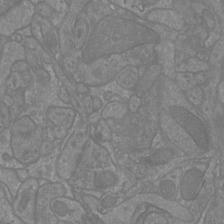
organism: Mouse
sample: Cortical neurons